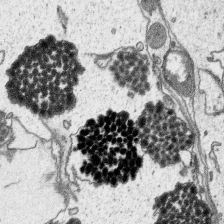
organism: Platynereis dumerilii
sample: Parapodia